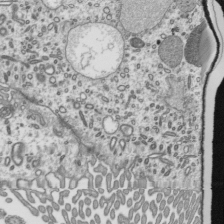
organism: Mouse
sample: Mouse epididymis efferent ductule cilia